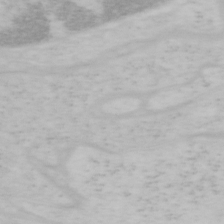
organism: Mouse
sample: OT-I killer T cells with ID8 ovarian cancer cells